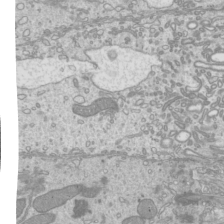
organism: Mouse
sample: Cilia; mouse epididymis